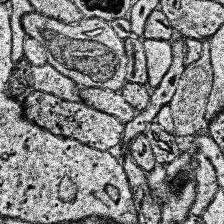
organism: Human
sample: Temporal Lobe